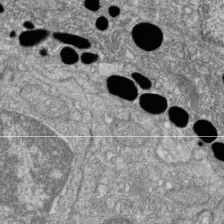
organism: Zebrafish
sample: Cilia; retinal pigment epithelium